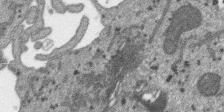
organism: Human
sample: Lung epithelial cells infected with SARS-CoV-2